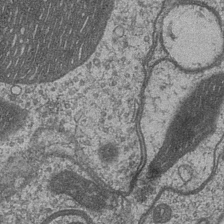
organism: Drosophila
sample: Optic medulla